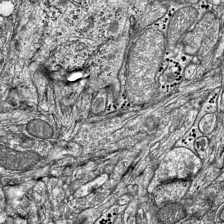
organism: Mouse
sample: Visual Cortex